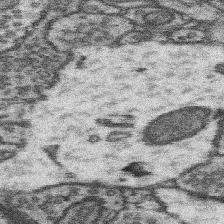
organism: Mouse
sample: Somatosensory cortex neuropil